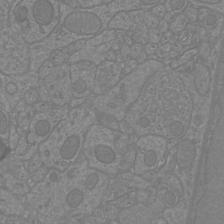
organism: Mouse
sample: Cortical neurons